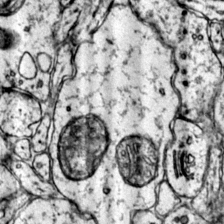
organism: Mouse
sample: Primary visual cortex